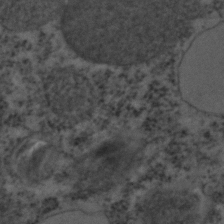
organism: C. elegans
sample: C. elegans embryo